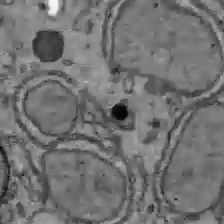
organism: C57BL Mouse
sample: Liver